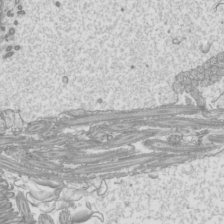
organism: Mouse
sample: Cilia; mouse epididymis